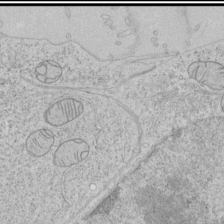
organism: Human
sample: Mitochondria in HCT116 cells